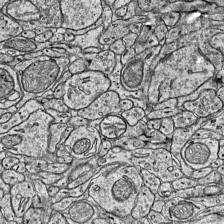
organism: Mouse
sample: Visual Cortex